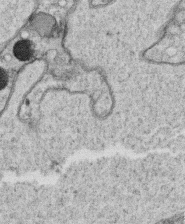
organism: C. elegans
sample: C. elegans oocyte; sperm cells